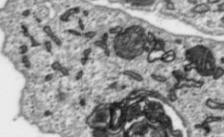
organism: Toxoplasma gondii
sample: Parasites in a vacuole inside a host cell